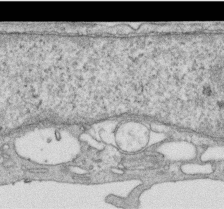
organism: Human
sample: Centriole in RPE cells